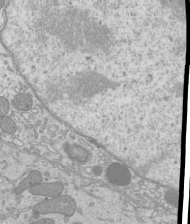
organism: Mouse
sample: Cilia; mouse epididymis